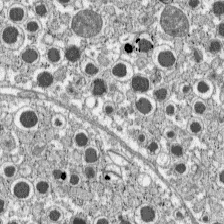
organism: C57BL Mouse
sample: Pancreatic islet